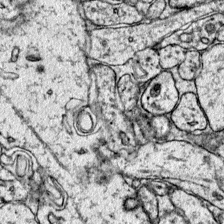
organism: Mouse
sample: Primary visual cortex